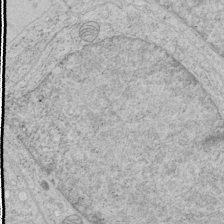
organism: Human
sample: Mitochondria in HCT116 cells